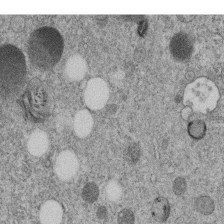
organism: C. elegans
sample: C. elegans embryo early stage